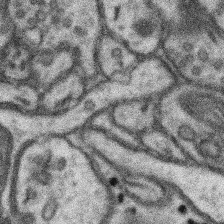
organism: Mouse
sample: Somatosensory cortex neuropil